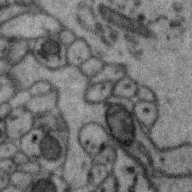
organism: Zebra finch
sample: Brain